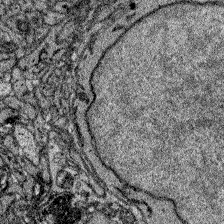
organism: Zebrafish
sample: Larval olfactory bulb